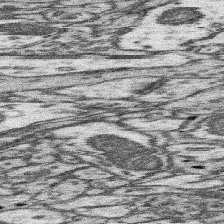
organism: Mouse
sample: Somatosensory cortex neuropil